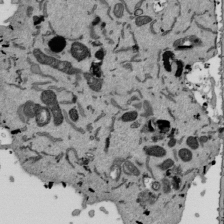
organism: Mouse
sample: ED-1 cell nuclei; centrioles